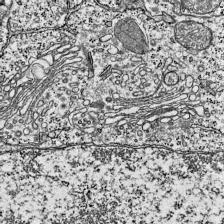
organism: Mouse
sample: Visual Cortex